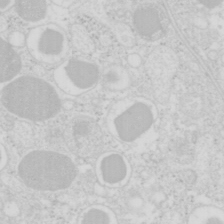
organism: Mouse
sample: Pancreas